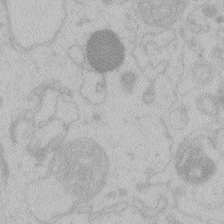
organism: Zebrafish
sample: Macrophage infected with Toxoplasma gondii